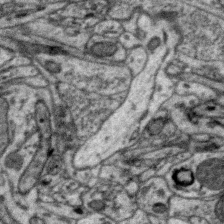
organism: Zebra finch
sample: Brain